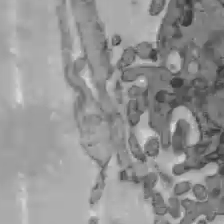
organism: C57BL Mouse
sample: Liver